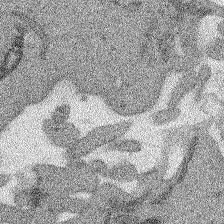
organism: Human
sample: HeLa cells